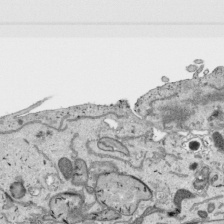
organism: Human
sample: Mitochondria in HCT116 cells